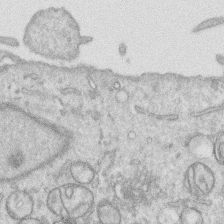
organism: Human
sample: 1205lu cells